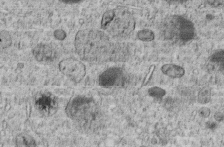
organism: C. elegans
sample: C. elegans embryo early stage